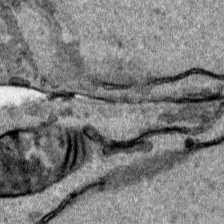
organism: Human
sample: Mitochondria in HCT116 cells